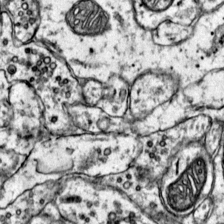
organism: Mouse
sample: Primary visual cortex